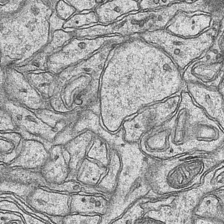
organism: Mouse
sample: CA1 Hippocampus